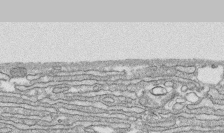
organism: Human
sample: CRL-1474